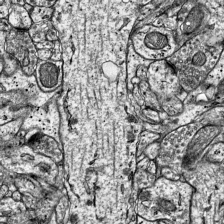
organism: Mouse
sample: Visual Cortex